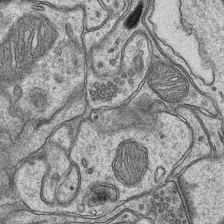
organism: Mouse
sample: CA1 Hippocampus